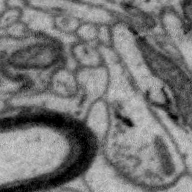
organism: Zebra finch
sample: Brain